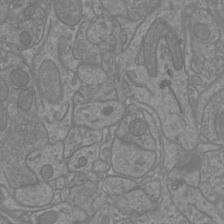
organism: Mouse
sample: Cortical neurons